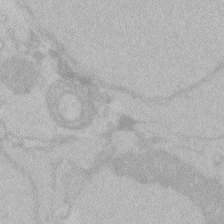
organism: Zebrafish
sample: Macrophage infected with Toxoplasma gondii